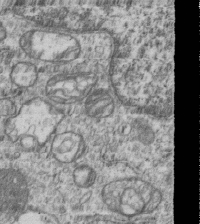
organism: Human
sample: MDA-MB-231 cells